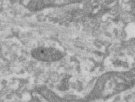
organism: Human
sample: Centriole in RPE cells